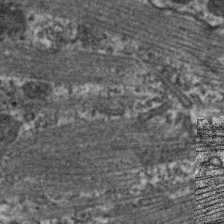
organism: C. elegans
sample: Pharynx